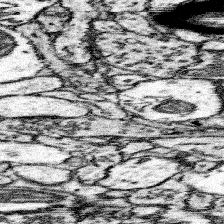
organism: Mouse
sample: Somatosensory cortex neuropil